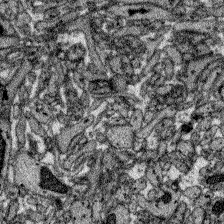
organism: Zebrafish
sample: Larval olfactory bulb